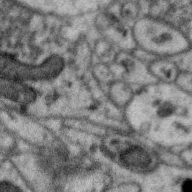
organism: Zebra finch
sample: Brain